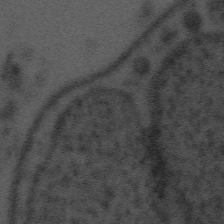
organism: Tuwongella immobilis